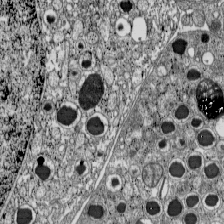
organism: C57BL Mouse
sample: Pancreatic islet